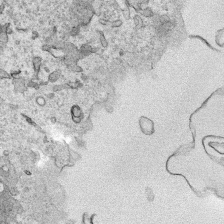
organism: Human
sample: Mitochondria in HCT116 cells